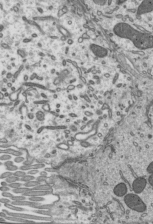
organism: Mouse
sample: Mouse epididymis efferent ductule cilia